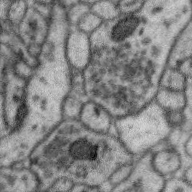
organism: Zebra finch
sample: Brain